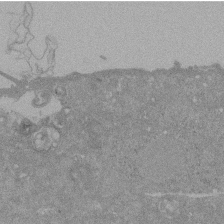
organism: Mouse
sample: ED-1 cell nuclei; centrioles